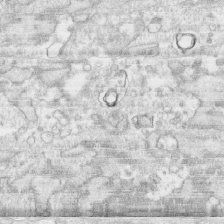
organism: Human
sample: CRL-1474